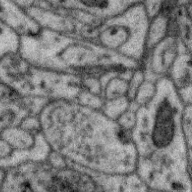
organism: Zebra finch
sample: Brain